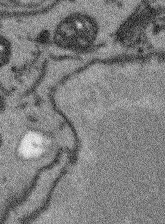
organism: Arabidopsis thaliana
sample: Root tip